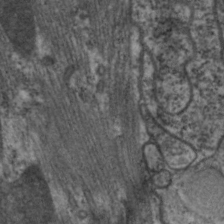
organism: C. elegans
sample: Pharynx